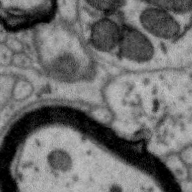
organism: Zebra finch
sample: Brain